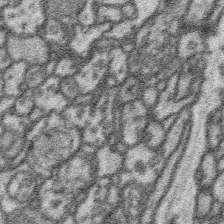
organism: Platynereis dumerilii